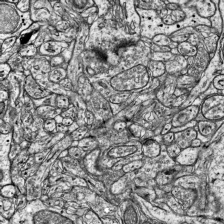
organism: Mouse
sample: Visual Cortex